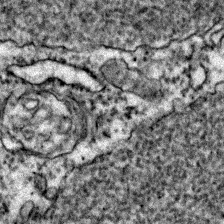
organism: Zebrafish